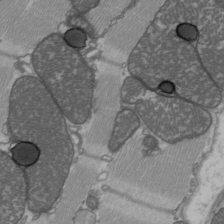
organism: C57BL Mouse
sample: Heart